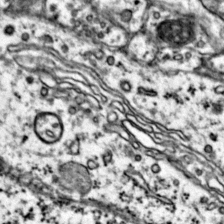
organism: Mouse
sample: Primary visual cortex